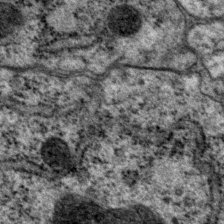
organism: P. pacificus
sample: Pharynx